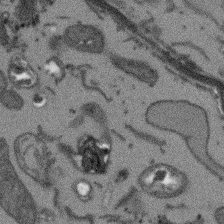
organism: Arabidopsis thaliana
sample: Root tip